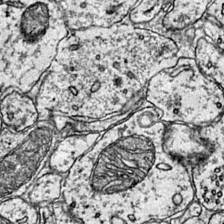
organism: Mouse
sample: Primary visual cortex